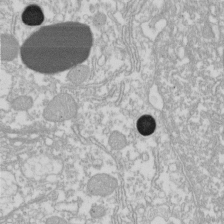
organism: Xenopus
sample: Cilia; centrioles in frog embryo cells